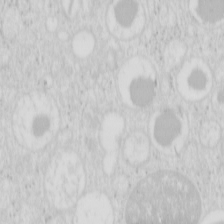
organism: Mouse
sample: Pancreas